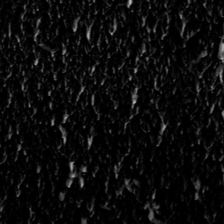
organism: Toxoplasma gondii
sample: Parasites in a vacuole inside a host cell